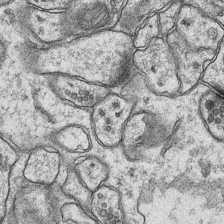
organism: Mouse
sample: CA1 Hippocampus